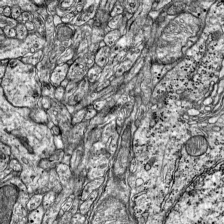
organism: Mouse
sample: Visual Cortex